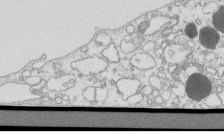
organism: Mouse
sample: Macrophages